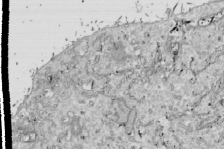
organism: Drosophila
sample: Cell division; meiosis; drosophila spermatocytes